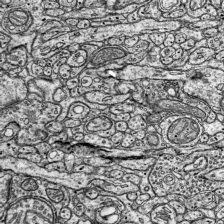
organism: Mouse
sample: Visual Cortex